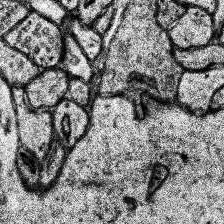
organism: Human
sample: Temporal Lobe